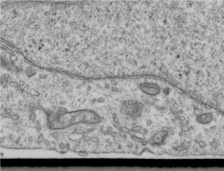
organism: Human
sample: Centriole in RPE cells